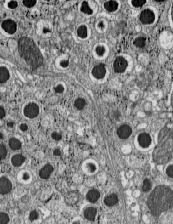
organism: C57BL Mouse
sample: Pancreatic islet